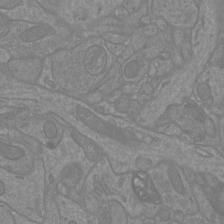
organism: Mouse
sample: Cortical neurons